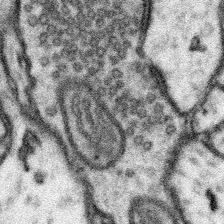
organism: Mouse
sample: Somatosensory cortex neuropil